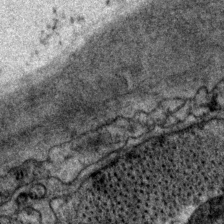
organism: P. pacificus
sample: Pharynx